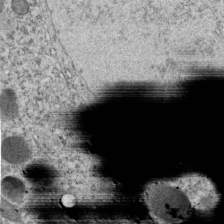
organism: C. elegans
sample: C. elegans embryo early stage